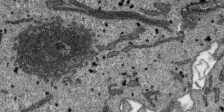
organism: Human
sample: Lung epithelial cells, uninfected (mock) control